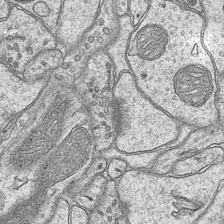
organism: Mouse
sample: CA1 Hippocampus